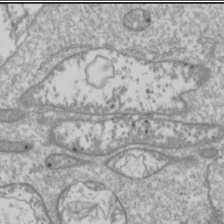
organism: Drosophila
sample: Cell division; meiosis; drosophila spermatocytes